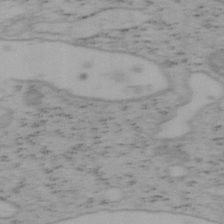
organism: Mouse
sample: OT-I killer T cells with ID8 ovarian cancer cells